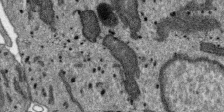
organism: Human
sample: Lung epithelial cells, uninfected (mock) control